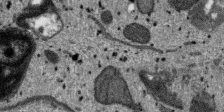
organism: Human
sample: Lung epithelial cells, uninfected (mock) control